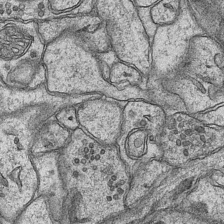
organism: Mouse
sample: CA1 Hippocampus